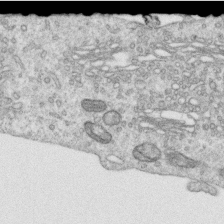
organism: Human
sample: Centriole in RPE cells